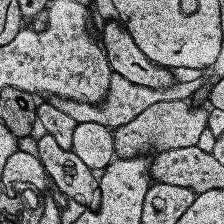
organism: Human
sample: Temporal Lobe